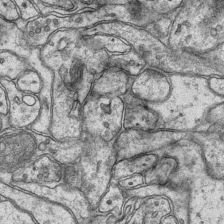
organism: Mouse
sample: CA1 Hippocampus